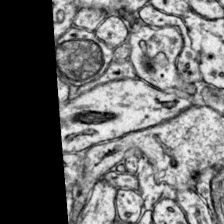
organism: Mouse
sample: Primary visual cortex